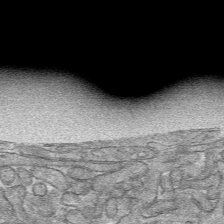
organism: Mouse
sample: Mouse hepatocytes